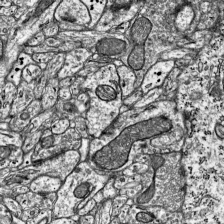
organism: Mouse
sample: Visual Cortex